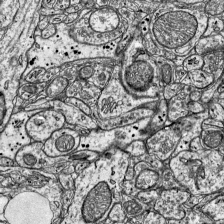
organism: Mouse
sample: Visual Cortex